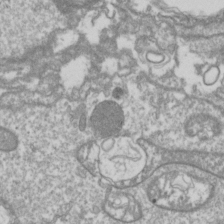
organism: Drosophila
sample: Cell division; meiosis; drosophila spermatocytes